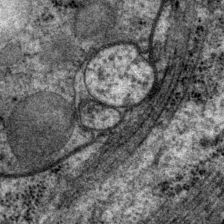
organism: P. pacificus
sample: Pharynx